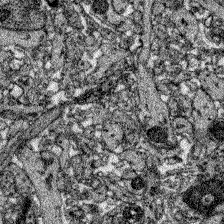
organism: Zebrafish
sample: Larval olfactory bulb